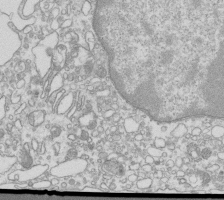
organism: Mouse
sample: Macrophages